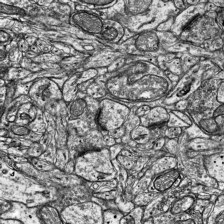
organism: Mouse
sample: Visual Cortex